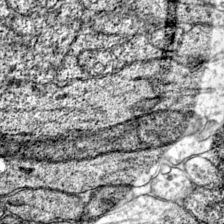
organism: Mouse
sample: Primary visual cortex